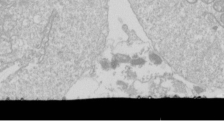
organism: Drosophila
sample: Cell division; meiosis; drosophila spermatocytes